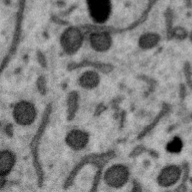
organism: Zebra finch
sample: Brain